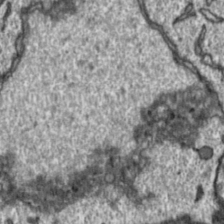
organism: Toxoplasma gondii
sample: Parasites in a vacuole inside a host cell